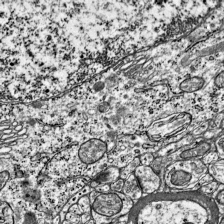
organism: Mouse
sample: Visual Cortex